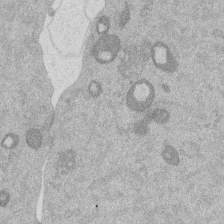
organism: Mouse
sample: Dividing mouse embryo 1 cell stage